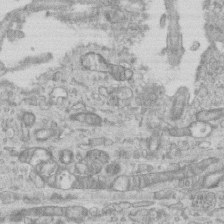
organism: Mouse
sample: Centriole in ependymal cells